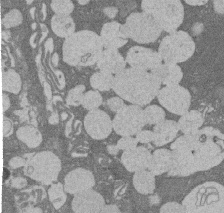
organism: Rat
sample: Salivary granule